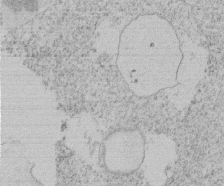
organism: Tetrahymena